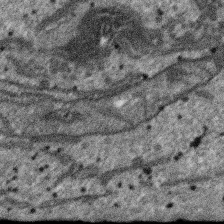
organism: Human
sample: Lung epithelial cells infected with SARS-CoV-2